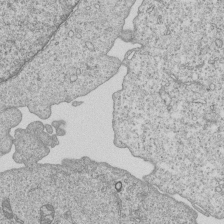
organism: Human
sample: MDA-MB-231 cells